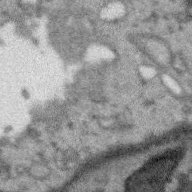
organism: Zebra finch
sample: Brain